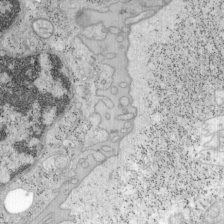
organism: Mouse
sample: OT-I killer T cells with ID8 ovarian cancer cells